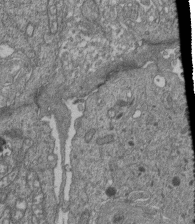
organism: Human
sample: Retinal organoid Rod and Cone cells